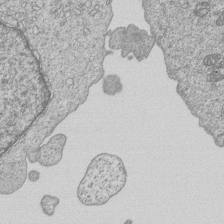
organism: Human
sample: MDA-MB-231 cells